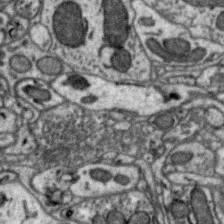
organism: Zebra finch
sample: Brain